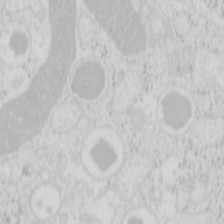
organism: Mouse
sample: Pancreas